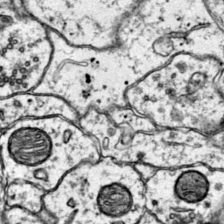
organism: Mouse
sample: Primary visual cortex